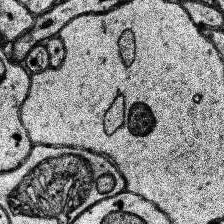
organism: Human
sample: Temporal Lobe